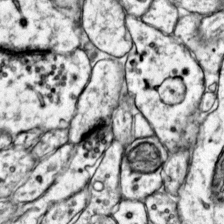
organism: Mouse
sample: Primary visual cortex